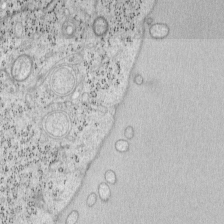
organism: Mouse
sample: OT-I killer T cells with ID8 ovarian cancer cells